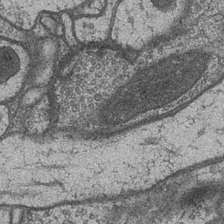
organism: Drosophila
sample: Optic medulla